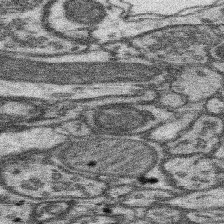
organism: Mouse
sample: Somatosensory cortex neuropil